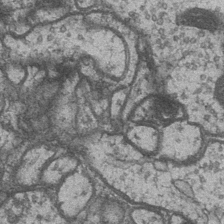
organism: Drosophila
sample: Optic medulla